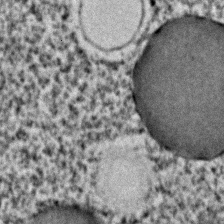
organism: C. elegans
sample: C. elegans embryo